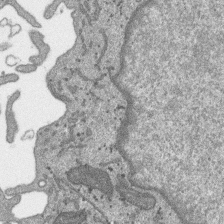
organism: Human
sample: Lung epithelial cells infected with SARS-CoV-2